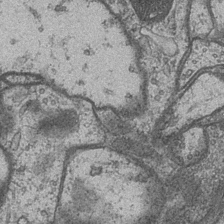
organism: Drosophila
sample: Optic medulla